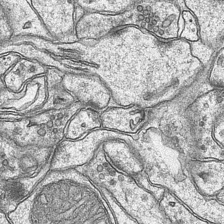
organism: Mouse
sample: CA1 Hippocampus